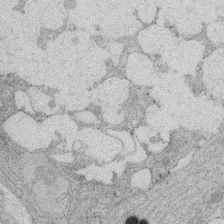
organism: Rat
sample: Salivary granule